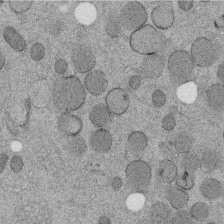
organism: C. elegans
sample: C. elegans embryo early stage